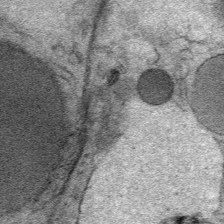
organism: Mouse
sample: Mouse Salivary gland